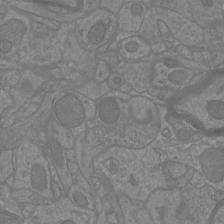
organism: Mouse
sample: Cortical neurons